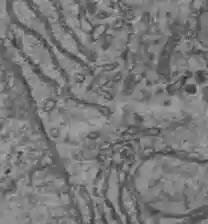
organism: C57BL Mouse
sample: Liver